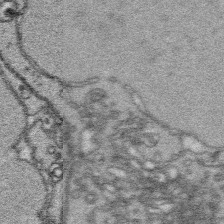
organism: Platynereis dumerilii